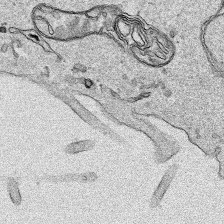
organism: Human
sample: Mitochondria in HCT116 cells